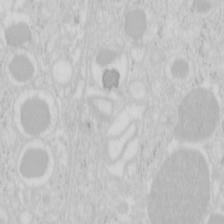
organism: Mouse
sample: Pancreas